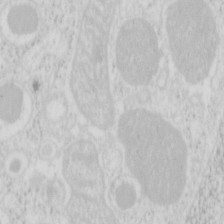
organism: Mouse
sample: Pancreas